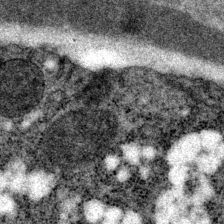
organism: P. pacificus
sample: Pharynx